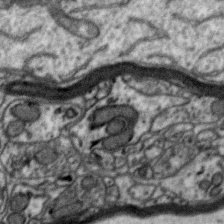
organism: Zebra finch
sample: Brain